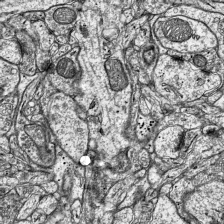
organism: Mouse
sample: Visual Cortex